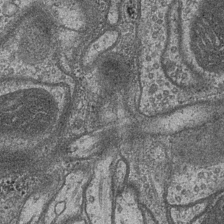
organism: Drosophila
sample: Optic medulla